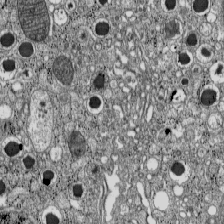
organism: C57BL Mouse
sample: Pancreatic islet